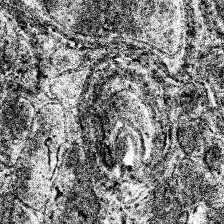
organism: Human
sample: Temporal Lobe